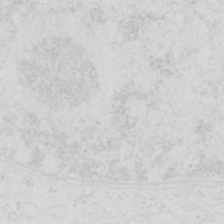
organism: Human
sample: SUM-159 cell